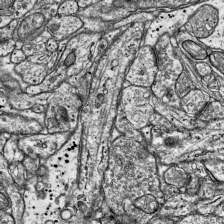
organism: Mouse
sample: Visual Cortex